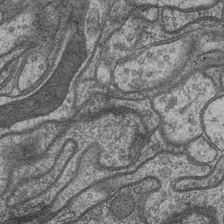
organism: Drosophila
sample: Optic medulla